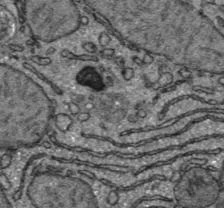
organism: C57BL Mouse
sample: Liver